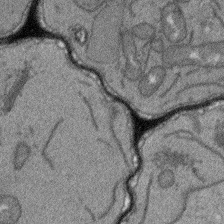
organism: Arabidopsis thaliana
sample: Root tip